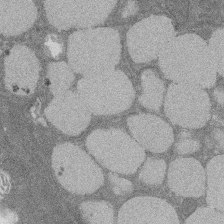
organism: Rat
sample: Salivary granule